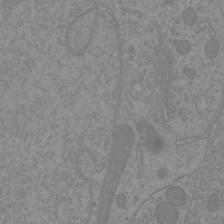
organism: Mouse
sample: Cortical neurons